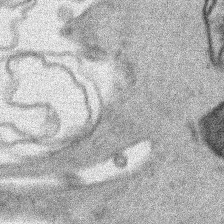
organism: Human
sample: Mitochondria in HCT116 cells